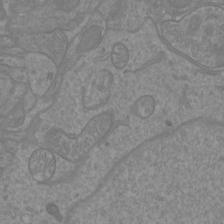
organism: Mouse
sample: Cortical neurons